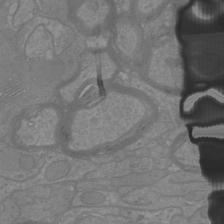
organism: Mouse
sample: Cortical neurons